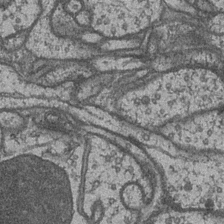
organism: Drosophila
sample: Optic medulla